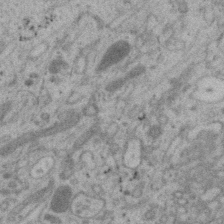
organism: Human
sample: HeLa cells